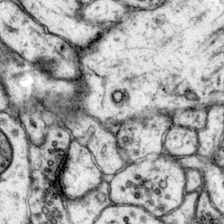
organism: Mouse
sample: Primary visual cortex